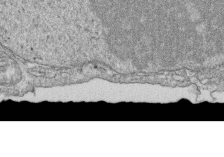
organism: Human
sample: HeLa cell HIV synapse